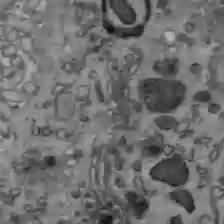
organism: C57BL Mouse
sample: Liver